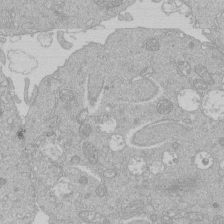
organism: Human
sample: Macrophage cells